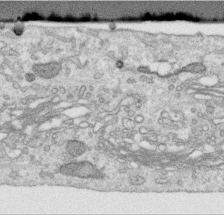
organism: Human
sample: Centriole in RPE cells